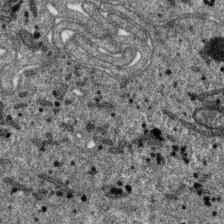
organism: Human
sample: Lung epithelial cells infected with SARS-CoV-2